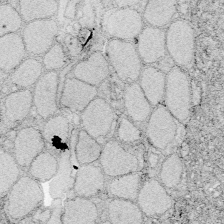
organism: Zebrafish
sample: Whole-Brain